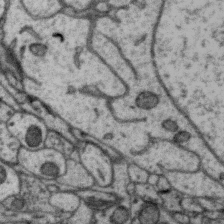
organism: Zebra finch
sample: Brain